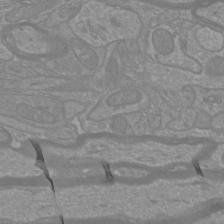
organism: Mouse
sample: Cortical neurons